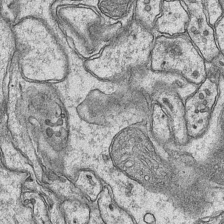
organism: Mouse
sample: CA1 Hippocampus